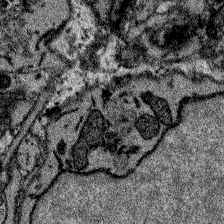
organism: Zebrafish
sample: Larval olfactory bulb